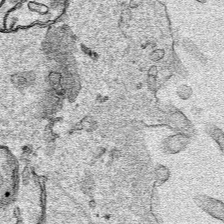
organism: Human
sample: Mitochondria in HCT116 cells